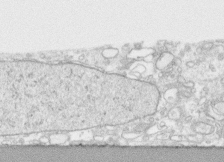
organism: Human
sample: CRL-1474